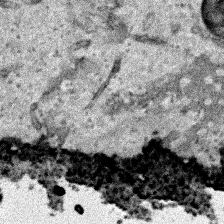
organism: Human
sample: Mitochondria in HCT116 cells